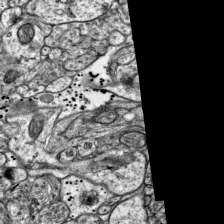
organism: Mouse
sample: Visual Cortex